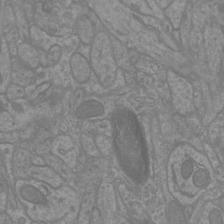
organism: Mouse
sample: Cortical neurons